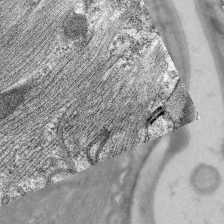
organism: C. elegans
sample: Pharynx